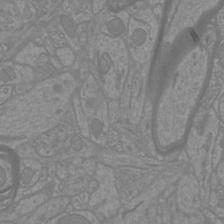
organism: Mouse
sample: Cortical neurons